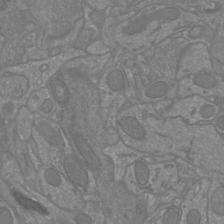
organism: Mouse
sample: Cortical neurons